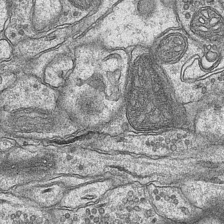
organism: Mouse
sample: CA1 Hippocampus